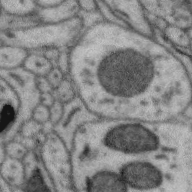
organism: Zebra finch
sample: Brain